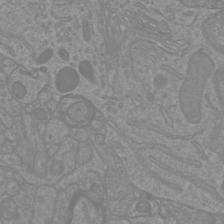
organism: Mouse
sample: Cortical neurons